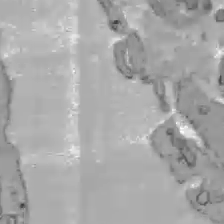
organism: C57BL Mouse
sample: Liver